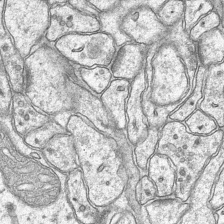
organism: Mouse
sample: CA1 Hippocampus